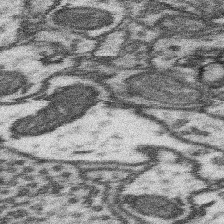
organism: Mouse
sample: Somatosensory cortex neuropil